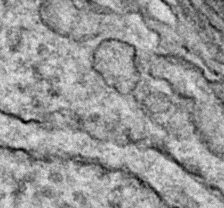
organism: Zebrafish